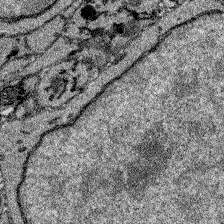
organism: Zebrafish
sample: Larval olfactory bulb